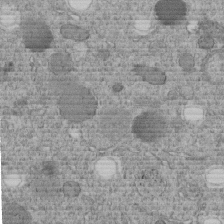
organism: C. elegans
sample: C. elegans embryo early stage